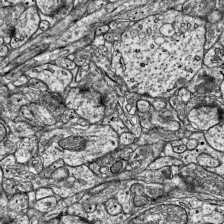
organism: Mouse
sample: Visual Cortex